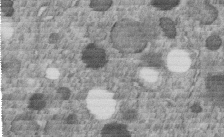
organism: C. elegans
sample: C. elegans embryo early stage